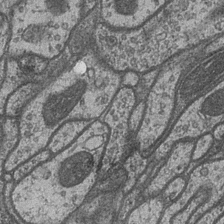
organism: Drosophila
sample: Optic medulla